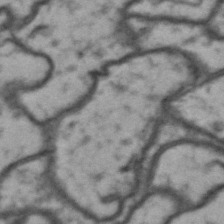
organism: Drosophila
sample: Brain